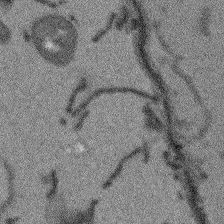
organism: Arabidopsis thaliana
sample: Root tip